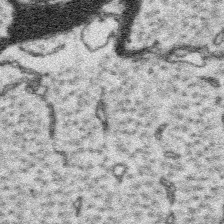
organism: Platynereis dumerilii